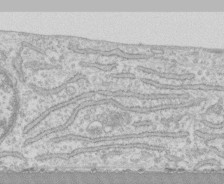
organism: Human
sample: CRL-1474